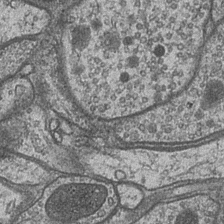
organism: Drosophila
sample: Optic medulla